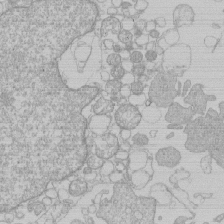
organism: Human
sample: Macrophage cells